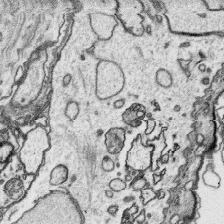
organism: Platynereis dumerilii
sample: Parapodia